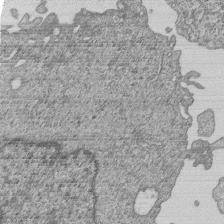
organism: Human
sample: MDA-MB-231 cells